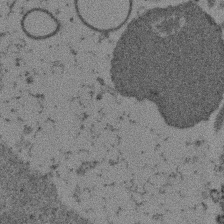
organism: Mouse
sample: Dividing mouse embryo 1 cell stage